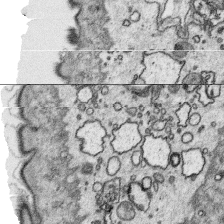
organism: Platynereis dumerilii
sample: Parapodia